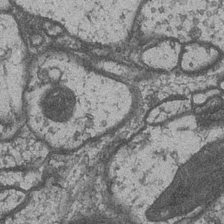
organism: Drosophila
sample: Optic medulla